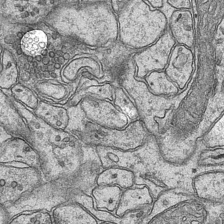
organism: Mouse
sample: CA1 Hippocampus